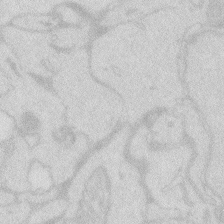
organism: Zebrafish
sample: Macrophage